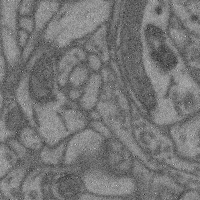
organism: Mouse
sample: Cerebral cortex